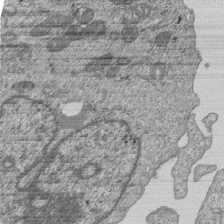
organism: Human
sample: MDA-MB-231 cells